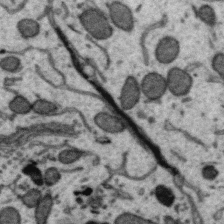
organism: Zebra finch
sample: Brain